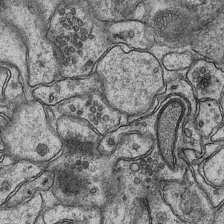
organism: Mouse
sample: CA1 Hippocampus